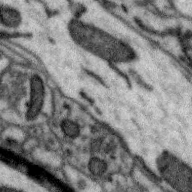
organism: Zebra finch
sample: Brain